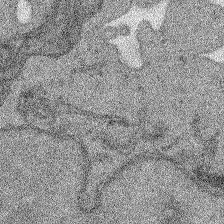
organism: Human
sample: HeLa cells